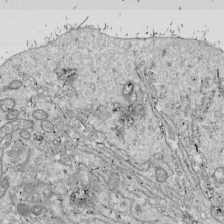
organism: Drosophila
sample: Cell division; meiosis; drosophila spermatocytes